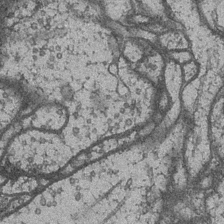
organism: Drosophila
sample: Optic medulla